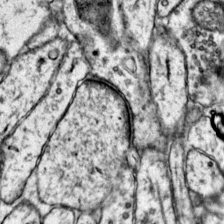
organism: Mouse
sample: Primary visual cortex